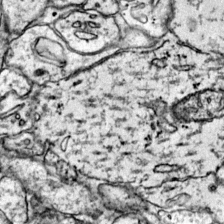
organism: Mouse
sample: Primary visual cortex